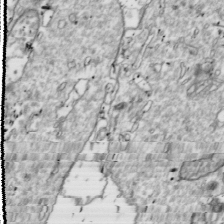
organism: Drosophila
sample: Cell division; meiosis; drosophila spermatocytes